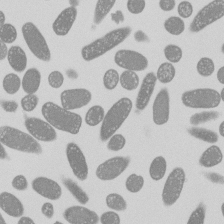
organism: E. coli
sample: Bacterial nucleoid